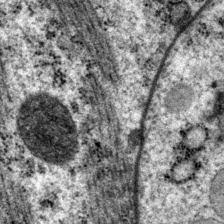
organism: P. pacificus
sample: Pharynx